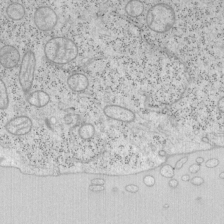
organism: Mouse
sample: OT-I killer T cells with ID8 ovarian cancer cells